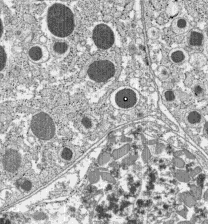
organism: C57BL Mouse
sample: Pancreatic islet